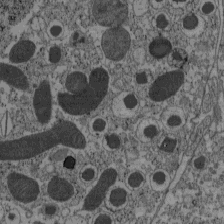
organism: C57BL Mouse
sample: Pancreatic islet